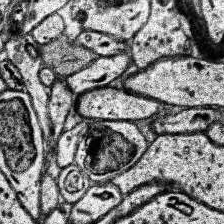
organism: Human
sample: Temporal Lobe